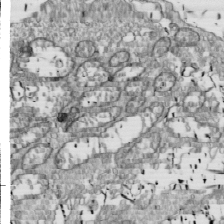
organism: Drosophila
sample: Cell division; meiosis; drosophila spermatocytes